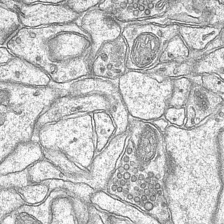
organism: Mouse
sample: CA1 Hippocampus